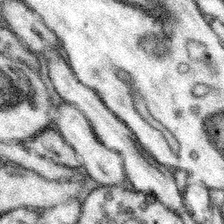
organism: Mouse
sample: Somatosensory cortex neuropil